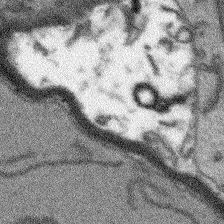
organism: Arabidopsis thaliana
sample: Root tip